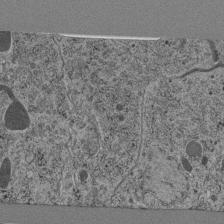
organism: C. elegans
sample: C. elegans pharynx